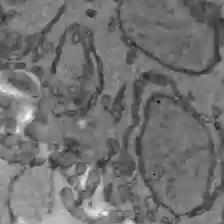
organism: C57BL Mouse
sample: Liver